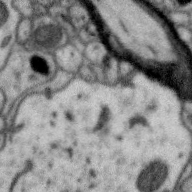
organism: Zebra finch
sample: Brain